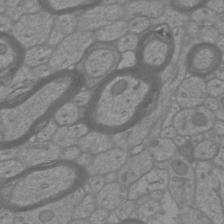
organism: Mouse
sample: Cortical neurons